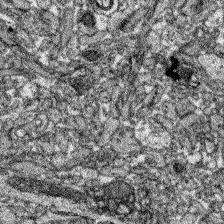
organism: Zebrafish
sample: Larval olfactory bulb